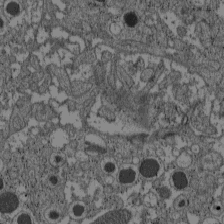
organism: C57BL Mouse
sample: Pancreatic islet